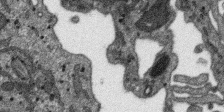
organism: Human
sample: Lung epithelial cells infected with SARS-CoV-2